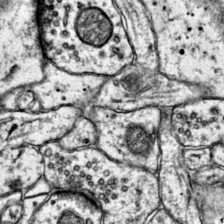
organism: Mouse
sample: Primary visual cortex